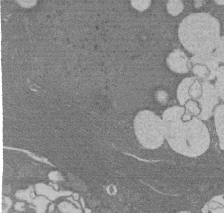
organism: Rat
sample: Salivary granule